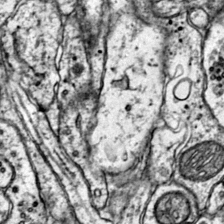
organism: Mouse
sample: Primary visual cortex